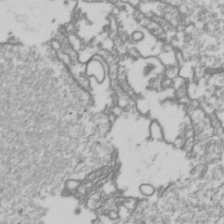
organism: Drosophila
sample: Cell division; meiosis; drosophila spermatocytes